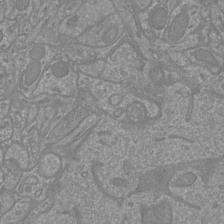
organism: Mouse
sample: Cortical neurons